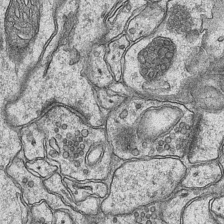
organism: Mouse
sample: CA1 Hippocampus